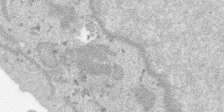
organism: Human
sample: Lung epithelial cells infected with SARS-CoV-2